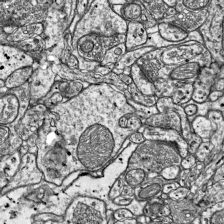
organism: Mouse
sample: Visual Cortex